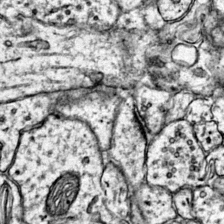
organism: Mouse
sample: Primary visual cortex